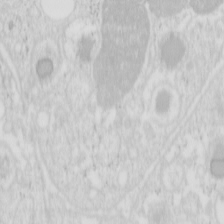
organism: Mouse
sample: Pancreas